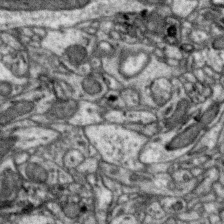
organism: Zebra finch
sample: Brain